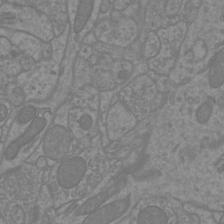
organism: Mouse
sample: Cortical neurons